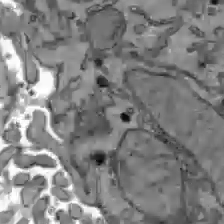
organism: C57BL Mouse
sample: Liver